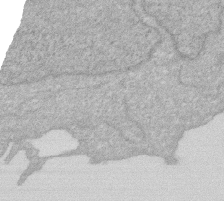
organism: Human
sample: HIV infected U937 cells